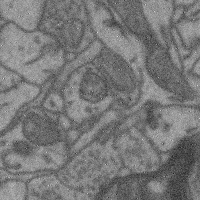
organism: Mouse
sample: Cerebral cortex